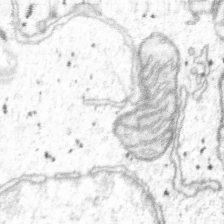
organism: Human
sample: HeLa cells